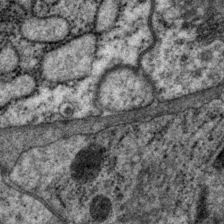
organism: P. pacificus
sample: Pharynx